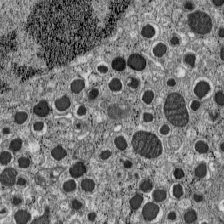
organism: C57BL Mouse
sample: Pancreatic islet